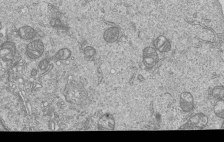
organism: Human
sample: MDA-MB-231 cells